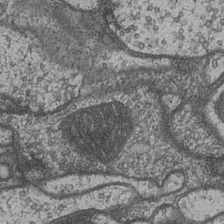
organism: Drosophila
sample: Optic medulla